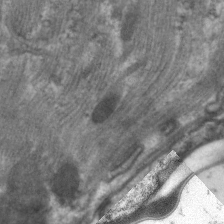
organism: C. elegans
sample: Pharynx